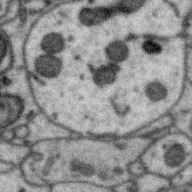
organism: Zebra finch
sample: Brain